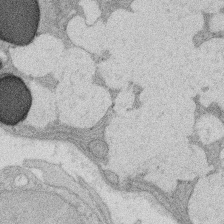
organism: Rat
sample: Salivary granule